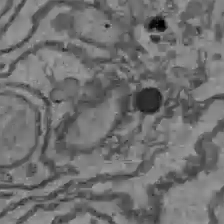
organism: C57BL Mouse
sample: Liver